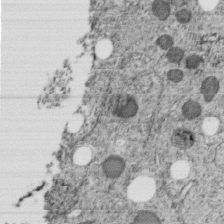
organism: C. elegans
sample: C. elegans embryo early stage